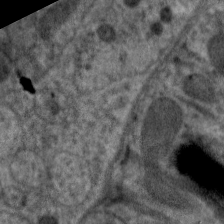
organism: C. elegans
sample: Pharynx